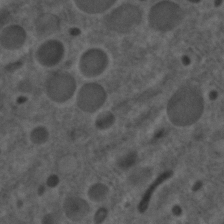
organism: C. elegans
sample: C. elegans embryo